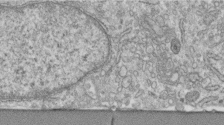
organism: Human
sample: Centriole in fibroblast cells